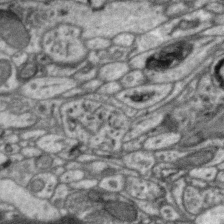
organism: Zebra finch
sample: Brain